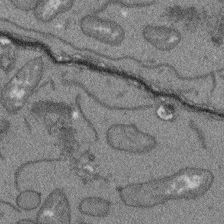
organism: Arabidopsis thaliana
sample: Root tip